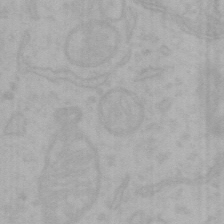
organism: Mouse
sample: Choroid plexus